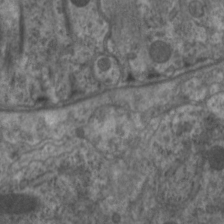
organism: C. elegans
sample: Pharynx